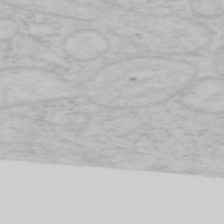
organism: Mouse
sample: OT-I killer T cells with ID8 ovarian cancer cells